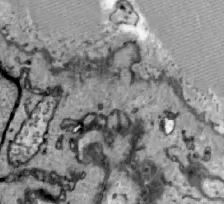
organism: Zebrafish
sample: Actinotrichia fibers